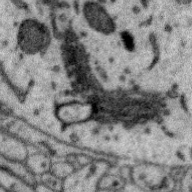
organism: Zebra finch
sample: Brain